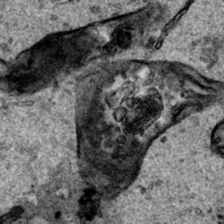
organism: Human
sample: Mitochondria in HCT116 cells